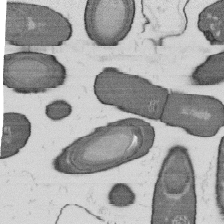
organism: B. subtilis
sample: Bacterial spore